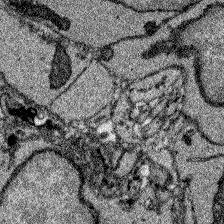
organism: Zebrafish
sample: Larval olfactory bulb